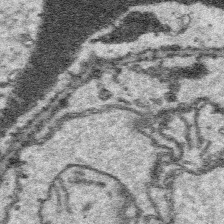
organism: Platynereis dumerilii